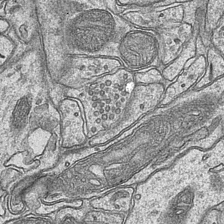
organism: Mouse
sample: CA1 Hippocampus